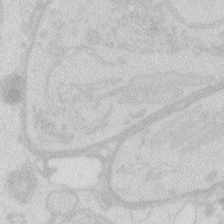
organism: Zebrafish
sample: Macrophage